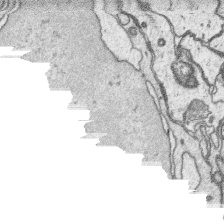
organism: Platynereis dumerilii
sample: Parapodia